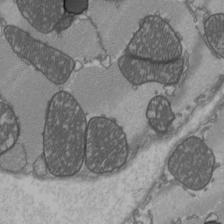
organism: C57BL Mouse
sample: Heart